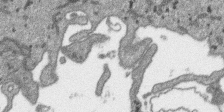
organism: Human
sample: Lung epithelial cells infected with SARS-CoV-2